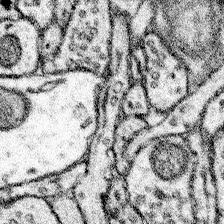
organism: Mouse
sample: Somatosensory cortex neuropil